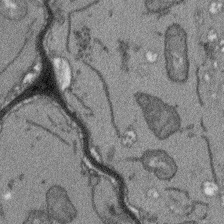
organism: Arabidopsis thaliana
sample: Root tip